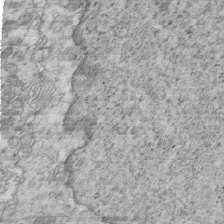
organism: Mouse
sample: Multiciliated cells